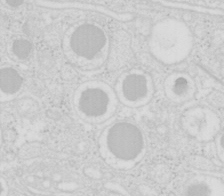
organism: Mouse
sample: Pancreas